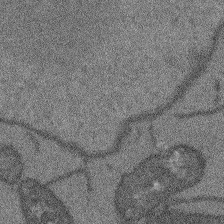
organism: Arabidopsis thaliana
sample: Root tip